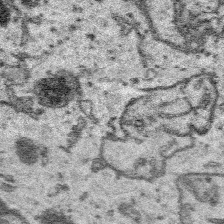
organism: Platynereis dumerilii